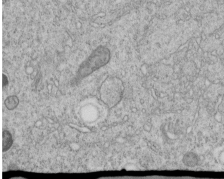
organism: C. elegans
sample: C. elegans embryo early stage